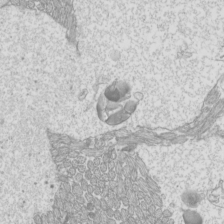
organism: Mouse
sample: Cilia; mouse epididymis